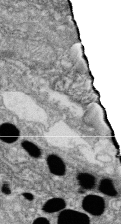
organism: Zebrafish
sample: Cilia; retinal pigment epithelium